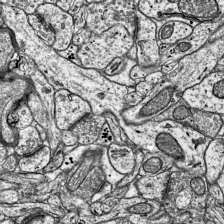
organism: Mouse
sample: Visual Cortex